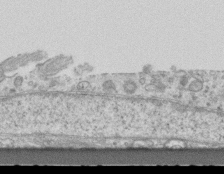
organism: Mouse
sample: Centriole in ependymal cells